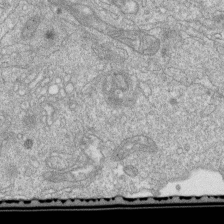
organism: Human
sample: HeLa cell HIV synapse